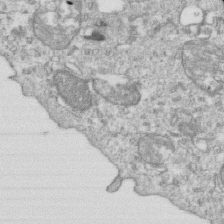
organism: Mouse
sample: Activated OT-1 CD8+ T cells